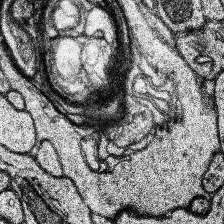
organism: Human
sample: Temporal Lobe